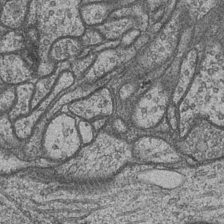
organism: Drosophila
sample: Optic medulla